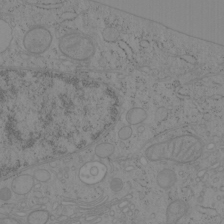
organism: Human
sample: HeLa cells